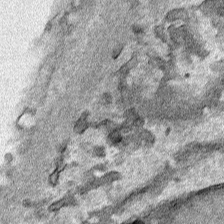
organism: Human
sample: Mitochondria in HCT116 cells